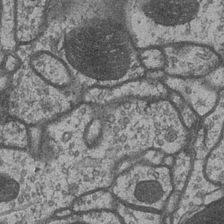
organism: Drosophila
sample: Optic medulla